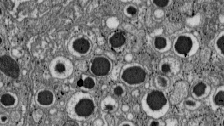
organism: C57BL Mouse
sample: Pancreatic islet